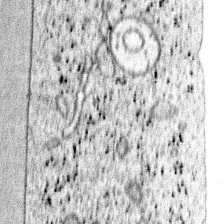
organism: Human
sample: HeLa cells